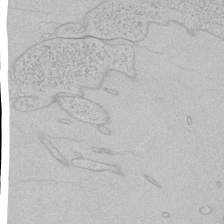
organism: Human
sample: Mitochondria in HCT116 cells